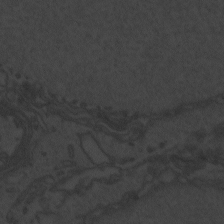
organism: Zebrafish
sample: Macrophage infected with Toxoplasma gondii